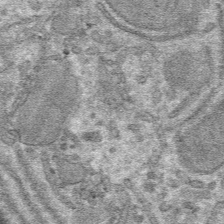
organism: Mouse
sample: Mouse hepatocytes